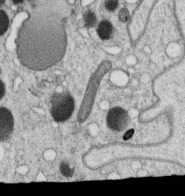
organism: C. elegans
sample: C. elegans oocyte; sperm cells